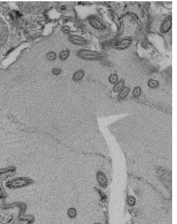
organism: Tetrahymena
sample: Cilia in tetrahymena